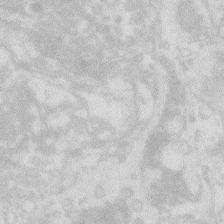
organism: Zebrafish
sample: Macrophage